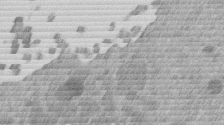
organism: Mouse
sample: Dividing mouse embryo 1 cell stage